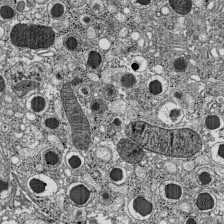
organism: C57BL Mouse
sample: Pancreatic islet